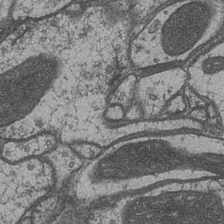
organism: Drosophila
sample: Optic medulla